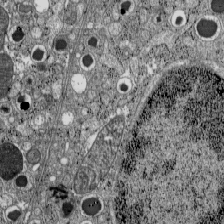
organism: C57BL Mouse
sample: Pancreatic islet